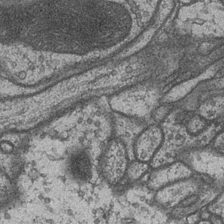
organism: Drosophila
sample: Optic medulla